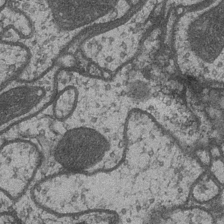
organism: Drosophila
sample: Optic medulla